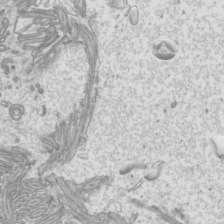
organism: Mouse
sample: Cilia; mouse epididymis